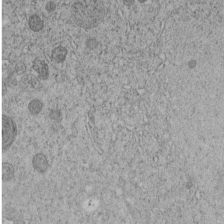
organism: C. elegans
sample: C. elegans embryo early stage